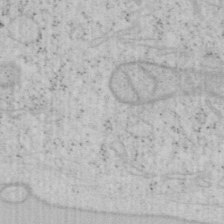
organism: Human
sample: HeLa cells